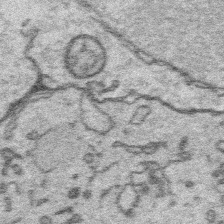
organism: Platynereis dumerilii